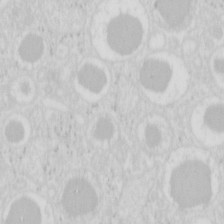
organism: Mouse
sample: Pancreas